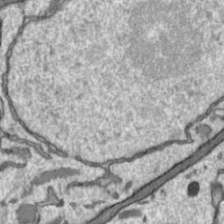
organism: Toxoplasma gondii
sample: Parasites in a vacuole inside a host cell